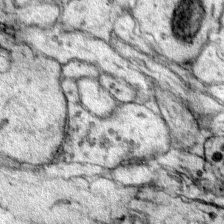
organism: Mouse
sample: Primary visual cortex